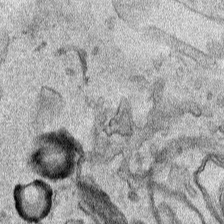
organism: Human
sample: Mitochondria in HCT116 cells